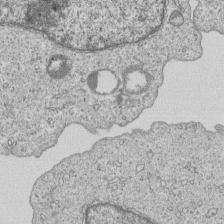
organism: Human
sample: MDA-MB-231 cells